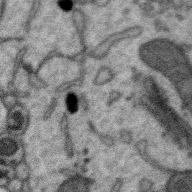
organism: Zebra finch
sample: Brain